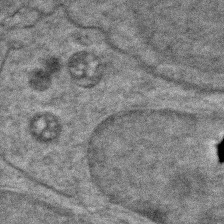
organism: Zebrafish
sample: Zebrafish embryo